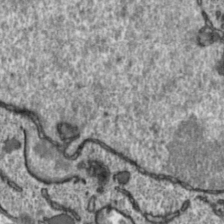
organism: Toxoplasma gondii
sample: Parasites in a vacuole inside a host cell